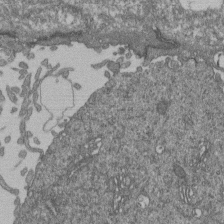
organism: Human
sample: Retinal organoid Rod and Cone cells